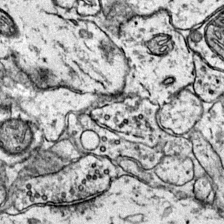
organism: Mouse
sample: Primary visual cortex